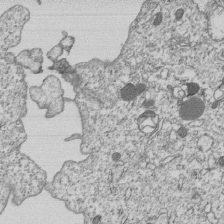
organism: Human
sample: MDA-MB-231 cells